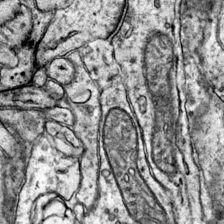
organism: Mouse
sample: Primary visual cortex